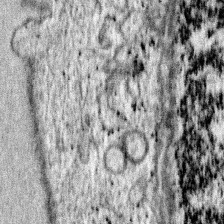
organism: Human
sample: HeLa cells